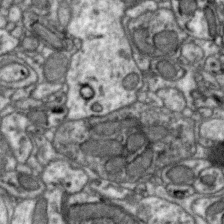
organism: Zebra finch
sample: Brain